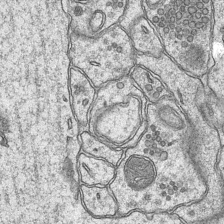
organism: Mouse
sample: CA1 Hippocampus